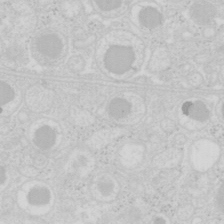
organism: Mouse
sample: Pancreas